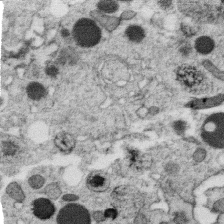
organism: C. elegans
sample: C. elegans oocyte; sperm cells